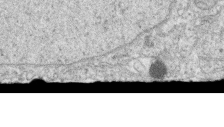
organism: Human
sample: HeLa cell HIV synapse